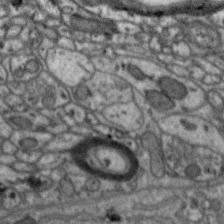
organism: Zebra finch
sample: Brain